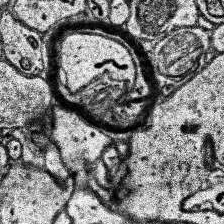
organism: Human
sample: Temporal Lobe